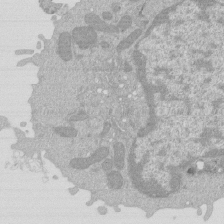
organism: Mouse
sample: Activated Pmel transgenic CD8+ T Cells